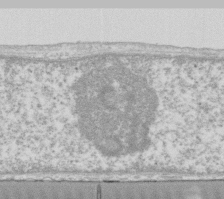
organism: Human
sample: Fibroblast cells